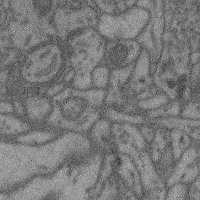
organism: Mouse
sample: Cerebral cortex